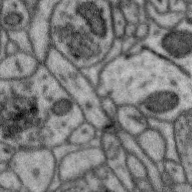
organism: Zebra finch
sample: Brain